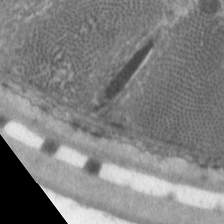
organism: C. elegans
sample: Pharynx